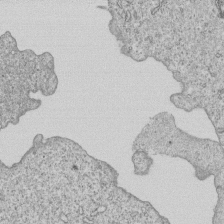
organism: Human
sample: MDA-MB-231 cells